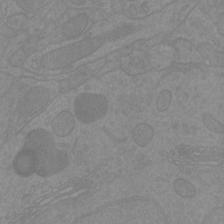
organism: Mouse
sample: Cortical neurons